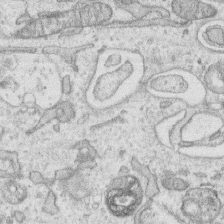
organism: Human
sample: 1205lu cells